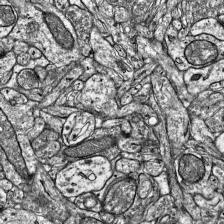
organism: Mouse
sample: Visual Cortex